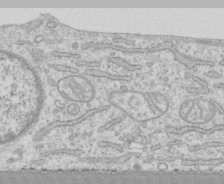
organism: Human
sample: CRL-1474